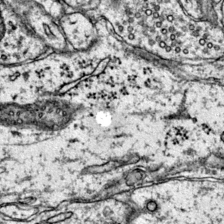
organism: Mouse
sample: Primary visual cortex